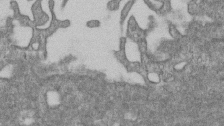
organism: Mouse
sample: Centriole in ependymal cells